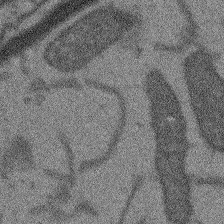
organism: Arabidopsis thaliana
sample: Root tip